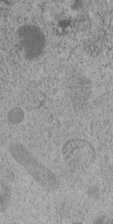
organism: C. elegans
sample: C. elegans embryo early stage